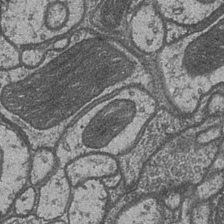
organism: Drosophila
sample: Optic medulla